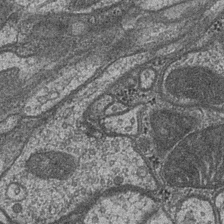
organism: Drosophila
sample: Optic medulla